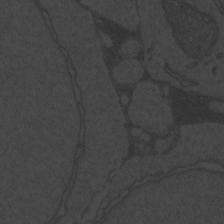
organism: Zebrafish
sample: Macrophage infected with Toxoplasma gondii